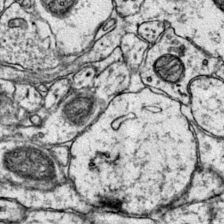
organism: Mouse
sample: Primary visual cortex